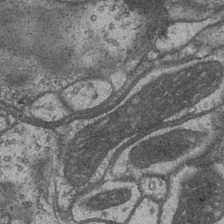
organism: Drosophila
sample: Optic medulla